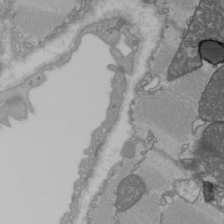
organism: C57BL Mouse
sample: Heart